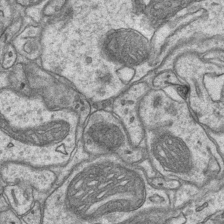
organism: Mouse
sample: CA1 Hippocampus